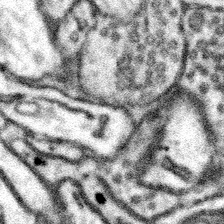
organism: Mouse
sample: Somatosensory cortex neuropil